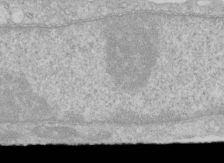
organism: Human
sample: Centriole in RPE cells